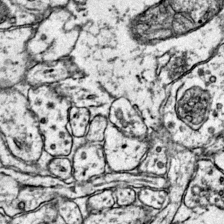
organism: Mouse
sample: Primary visual cortex